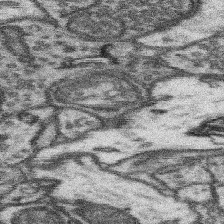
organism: Mouse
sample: Somatosensory cortex neuropil